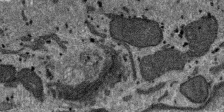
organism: Human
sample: Lung epithelial cells, uninfected (mock) control